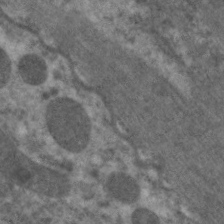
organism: C. elegans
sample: Pharynx